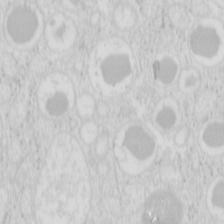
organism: Mouse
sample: Pancreas